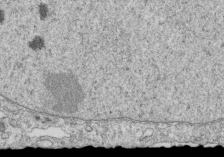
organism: Human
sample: HeLa cell HIV synapse